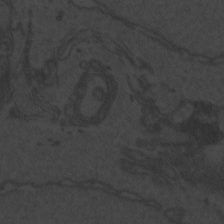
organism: Zebrafish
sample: Macrophage infected with Toxoplasma gondii